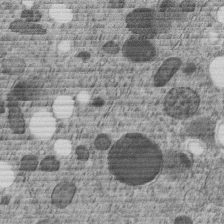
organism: C. elegans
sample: C. elegans embryo early stage